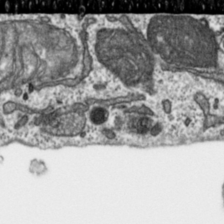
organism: Toxoplasma gondii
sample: Parasites in a vacuole inside a host cell